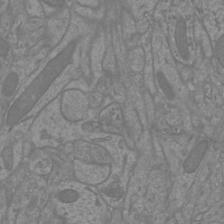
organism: Mouse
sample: Cortical neurons